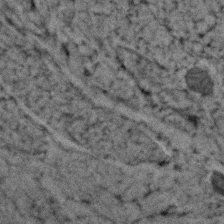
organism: Zebrafish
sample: Zebrafish embryo